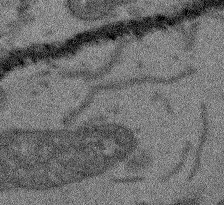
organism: Arabidopsis thaliana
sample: Root tip